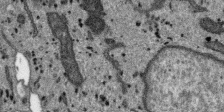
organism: Human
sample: Lung epithelial cells, uninfected (mock) control